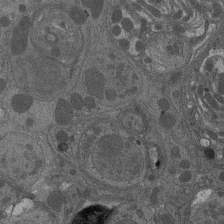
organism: Drosophila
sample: Antenna